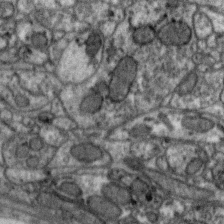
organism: Zebra finch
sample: Brain